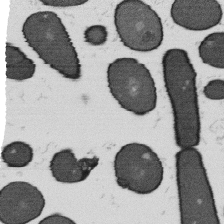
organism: B. subtilis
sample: Bacterial spore